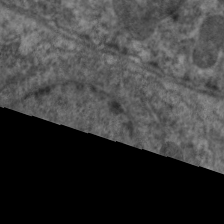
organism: C. elegans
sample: Pharynx